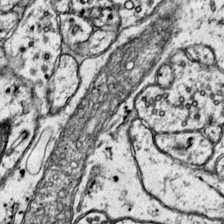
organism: Mouse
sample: Primary visual cortex